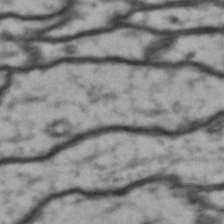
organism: Drosophila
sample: Brain